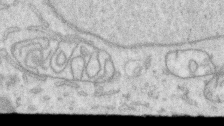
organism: Human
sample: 1205lu cells